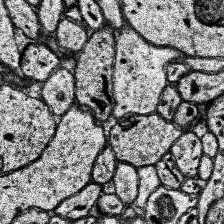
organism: Human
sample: Temporal Lobe